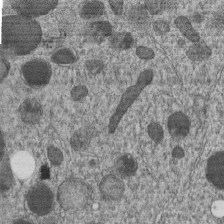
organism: C. elegans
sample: C. elegans embryo early stage